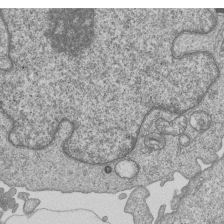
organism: Human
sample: MDA-MB-231 cells